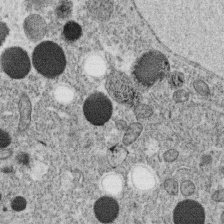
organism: C. elegans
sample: C. elegans oocyte; sperm cells